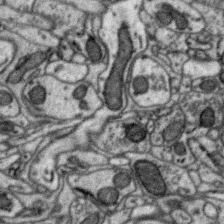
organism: Zebra finch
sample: Brain